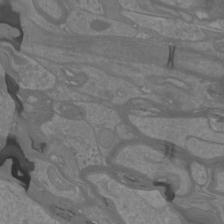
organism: Mouse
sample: Cortical neurons